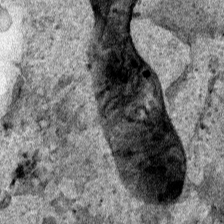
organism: Human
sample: Mitochondria in HCT116 cells